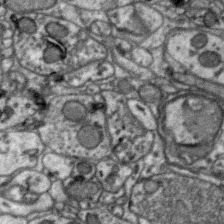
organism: Zebra finch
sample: Brain